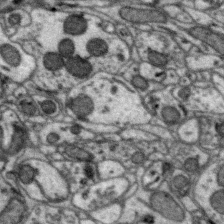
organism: Zebra finch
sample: Brain